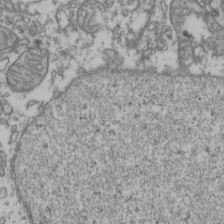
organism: Human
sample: Activated Jurkat CD4+ T cells